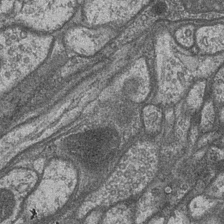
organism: Drosophila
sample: Optic medulla